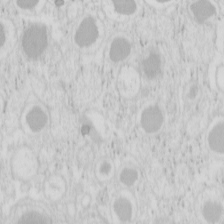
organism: Mouse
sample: Pancreas